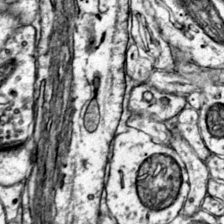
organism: Mouse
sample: Primary visual cortex